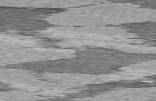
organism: C57BL Mouse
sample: Heart